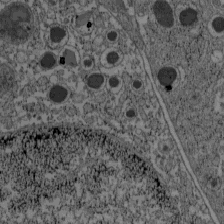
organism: C57BL Mouse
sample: Pancreatic islet